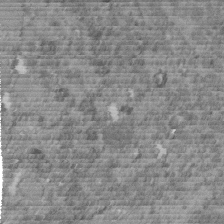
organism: C. elegans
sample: C. elegans embryo early stage